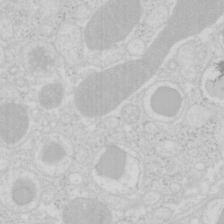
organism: Mouse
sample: Pancreas